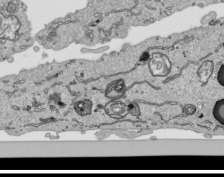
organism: Human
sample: Mitochondria in HCT116 cells